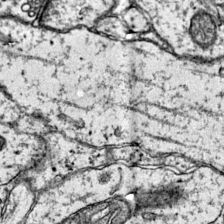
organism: Mouse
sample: Primary visual cortex